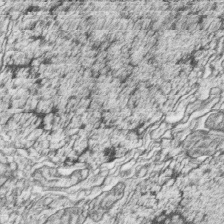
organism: Zebrafish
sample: synaptic ribbons in rod cells and cone cells